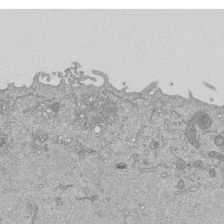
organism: Mouse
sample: ED-1 cell nuclei; centrioles